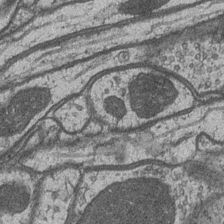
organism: Drosophila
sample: Optic medulla